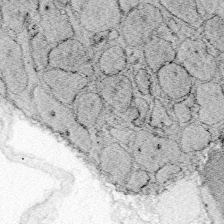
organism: Zebrafish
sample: Whole-Brain